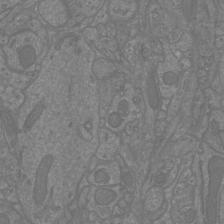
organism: Mouse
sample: Cortical neurons